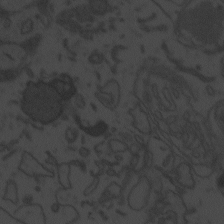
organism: Zebrafish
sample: Macrophage infected with Toxoplasma gondii